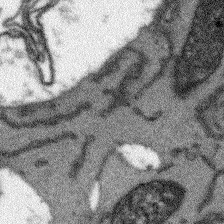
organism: Arabidopsis thaliana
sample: Root tip